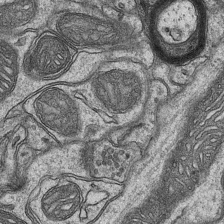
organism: Mouse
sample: CA1 Hippocampus